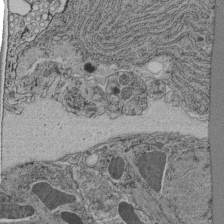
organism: C. elegans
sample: C. elegans pharynx